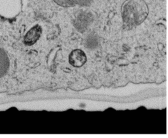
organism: C. elegans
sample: C. elegans embryo early stage